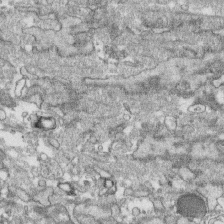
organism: Human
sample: CRL-1474